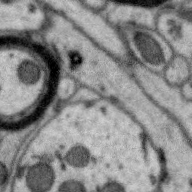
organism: Zebra finch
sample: Brain